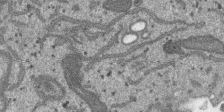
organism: Human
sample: Lung epithelial cells infected with SARS-CoV-2